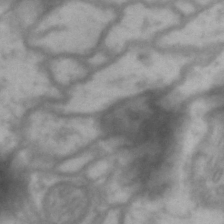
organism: Drosophila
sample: Brain